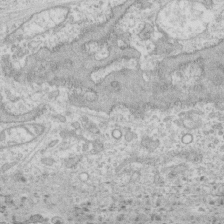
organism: Human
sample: CRL-1474